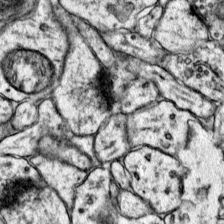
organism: Mouse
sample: Primary visual cortex